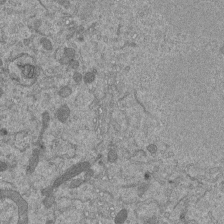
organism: Mouse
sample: ED-1 cell nuclei; centrioles